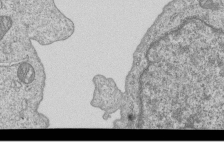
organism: Human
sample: MDA-MB-231 cells